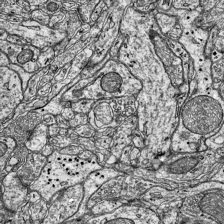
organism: Mouse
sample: Visual Cortex